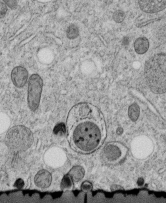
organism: C. elegans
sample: C. elegans embryo early stage